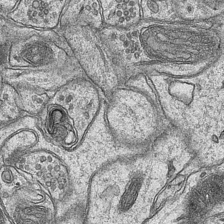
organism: Mouse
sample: CA1 Hippocampus